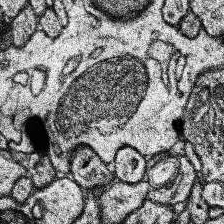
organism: Human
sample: Temporal Lobe